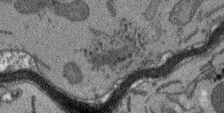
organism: Arabidopsis thaliana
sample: Root tip